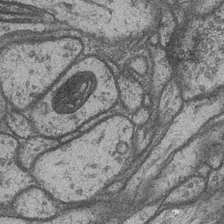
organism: Drosophila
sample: Optic medulla